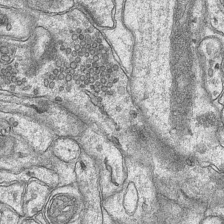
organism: Mouse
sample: CA1 Hippocampus